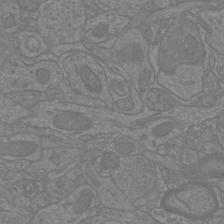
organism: Mouse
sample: Cortical neurons